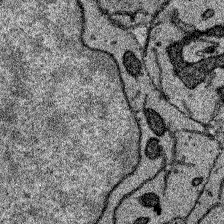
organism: Zebrafish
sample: Larval olfactory bulb